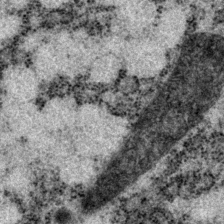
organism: P. pacificus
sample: Pharynx